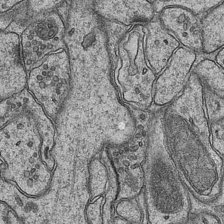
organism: Mouse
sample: CA1 Hippocampus